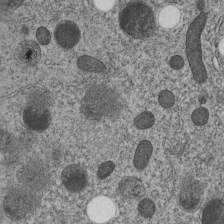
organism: C. elegans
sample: C. elegans embryo early stage